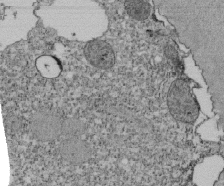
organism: Tetrahymena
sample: Cilia in tetrahymena